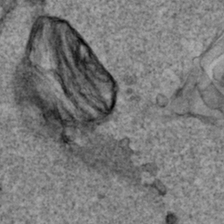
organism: Human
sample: Mitochondria in HCT116 cells